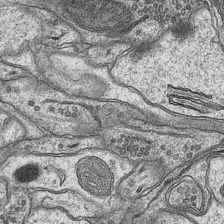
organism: Mouse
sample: CA1 Hippocampus